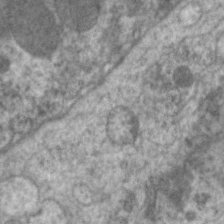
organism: C. elegans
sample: Pharynx